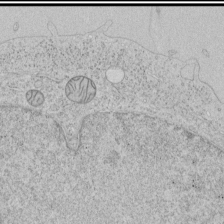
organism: Human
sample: Mitochondria in HCT116 cells